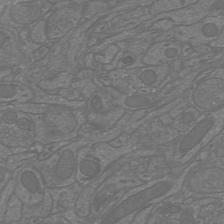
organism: Mouse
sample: Cortical neurons